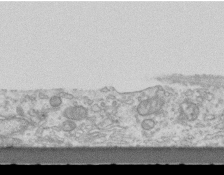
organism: Mouse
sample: Centriole in ependymal cells